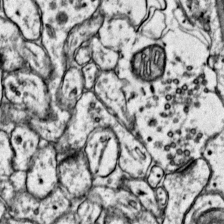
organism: Mouse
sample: Primary visual cortex